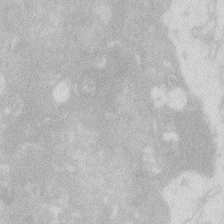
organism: Zebrafish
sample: Macrophage